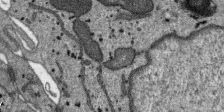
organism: Human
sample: Lung epithelial cells, uninfected (mock) control